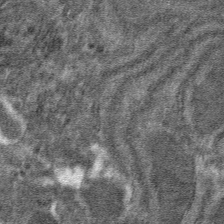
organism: Mouse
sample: Mouse hepatocytes